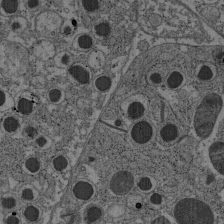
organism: C57BL Mouse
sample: Pancreatic islet